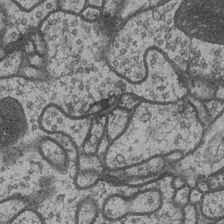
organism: Drosophila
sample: Optic medulla